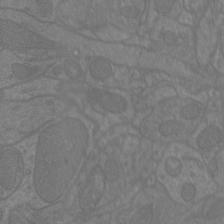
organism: Mouse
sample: Cortical neurons